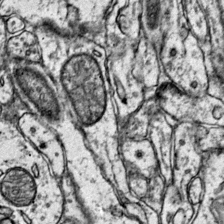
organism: Mouse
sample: Primary visual cortex